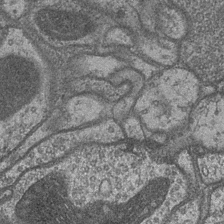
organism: Drosophila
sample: Optic medulla